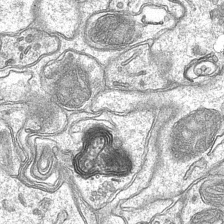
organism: Mouse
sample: CA1 Hippocampus